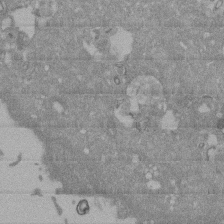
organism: Mouse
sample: ED-1 cell nuclei; centrioles